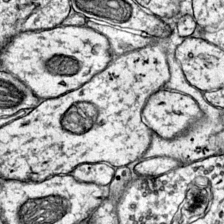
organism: Mouse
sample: Primary visual cortex